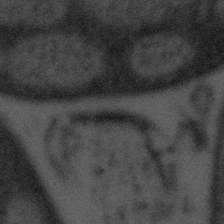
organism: Tuwongella immobilis